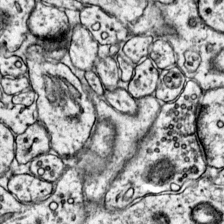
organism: Mouse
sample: Primary visual cortex